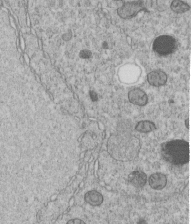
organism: C. elegans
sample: C. elegans embryo early stage